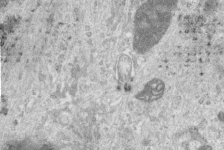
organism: Human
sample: Centriole in RPE cells